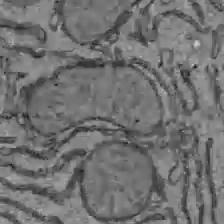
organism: C57BL Mouse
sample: Liver